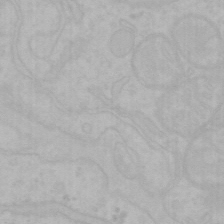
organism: Mouse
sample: Choroid plexus